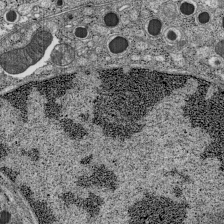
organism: C57BL Mouse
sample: Pancreatic islet